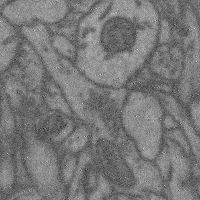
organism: Mouse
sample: Cerebral cortex